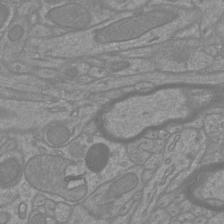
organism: Mouse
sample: Cortical neurons